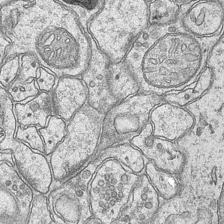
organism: Mouse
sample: CA1 Hippocampus